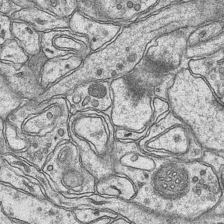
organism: Mouse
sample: CA1 Hippocampus